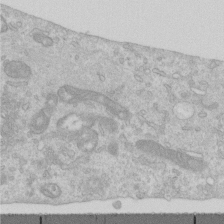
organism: Human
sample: Centriole in RPE cells